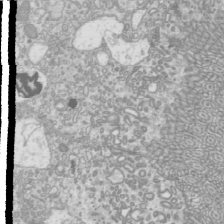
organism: Mouse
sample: Cilia; mouse epididymis